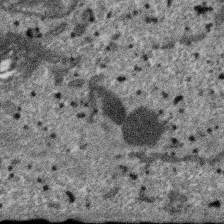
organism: Human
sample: Lung epithelial cells infected with SARS-CoV-2